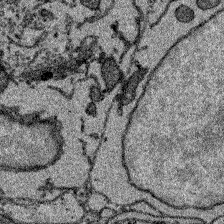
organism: Zebrafish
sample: Larval olfactory bulb